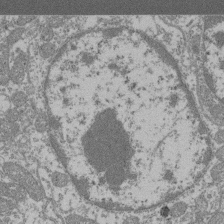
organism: Mouse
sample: Glomerulus